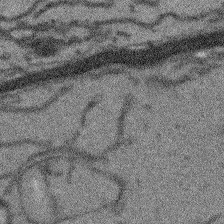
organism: Arabidopsis thaliana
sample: Root tip